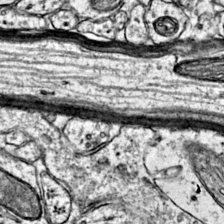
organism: Mouse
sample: Primary visual cortex